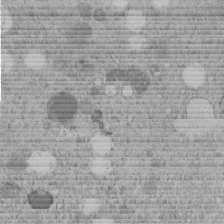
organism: C. elegans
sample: C. elegans embryo early stage